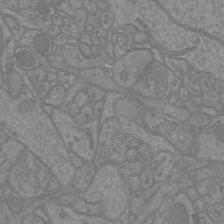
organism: Mouse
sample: Cortical neurons